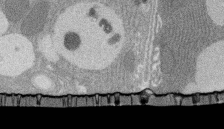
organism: Rat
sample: Salivary granule